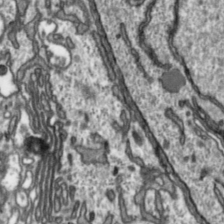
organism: Toxoplasma gondii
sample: Parasites in a vacuole inside a host cell